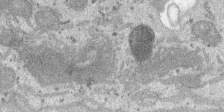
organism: Human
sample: Lung epithelial cells infected with SARS-CoV-2